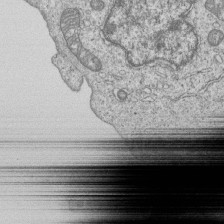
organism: Human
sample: MDA-MB-231 cells